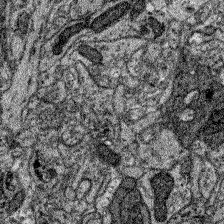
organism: Zebrafish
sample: Larval olfactory bulb